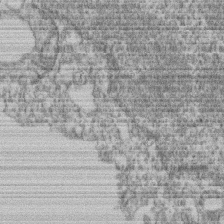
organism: Mouse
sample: T cell stromal cell synapse